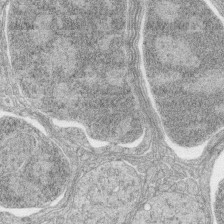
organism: Zebrafish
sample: synaptic ribbons in rod cells and cone cells